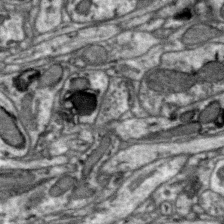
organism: Zebra finch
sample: Brain